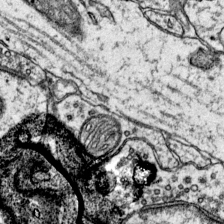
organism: Mouse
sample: Primary visual cortex